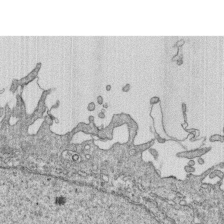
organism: Human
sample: HeLa cell HIV synapse